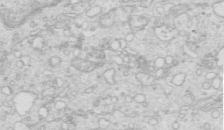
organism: Mouse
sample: Multiciliated cells